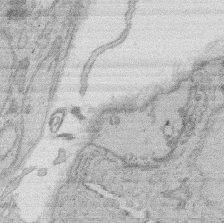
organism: Rat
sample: Salivary granule